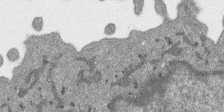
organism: Human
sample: Lung epithelial cells infected with SARS-CoV-2